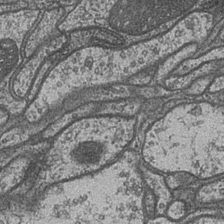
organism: Drosophila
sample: Optic medulla